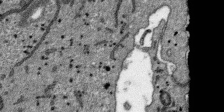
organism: Human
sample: Lung epithelial cells, uninfected (mock) control